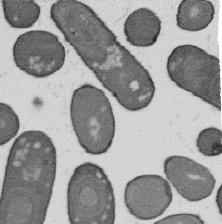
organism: B. subtilis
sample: Bacterial spore